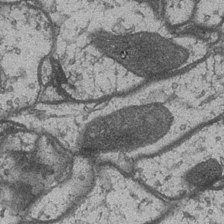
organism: Drosophila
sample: Optic medulla